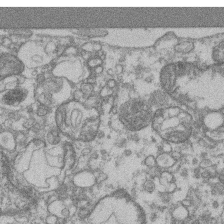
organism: Mouse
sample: T cell stromal cell synapse